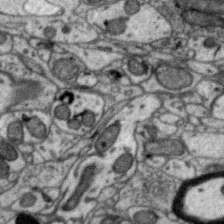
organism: Zebra finch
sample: Brain